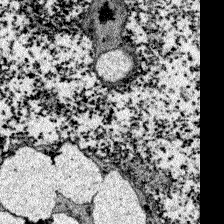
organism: Zebrafish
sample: Larval olfactory bulb